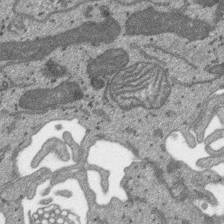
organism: Human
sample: Lung epithelial cells infected with SARS-CoV-2